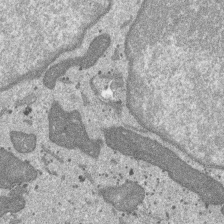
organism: Human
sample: Lung epithelial cells infected with SARS-CoV-2